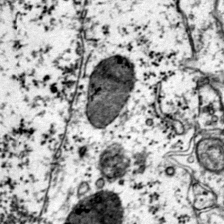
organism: Mouse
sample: Primary visual cortex